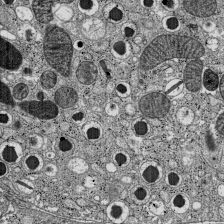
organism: C57BL Mouse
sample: Pancreatic islet